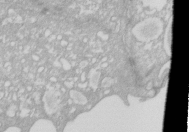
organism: Xenopus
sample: Cilia; centrioles in frog embryo cells